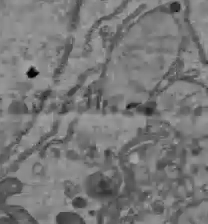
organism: C57BL Mouse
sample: Liver